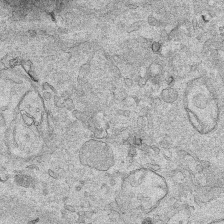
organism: Human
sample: Mitochondria in HCT116 cells